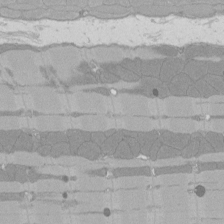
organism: Rat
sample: Left ventricle